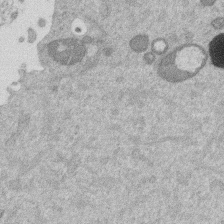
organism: Mouse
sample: Dividing mouse embryo 1 cell stage